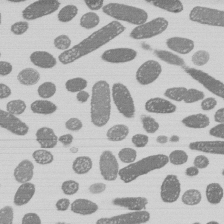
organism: E. coli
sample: Bacterial nucleoid